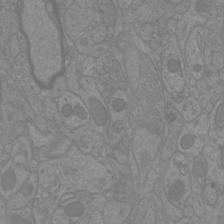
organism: Mouse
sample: Cortical neurons